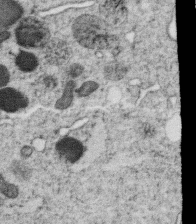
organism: C. elegans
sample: C. elegans oocyte; sperm cells